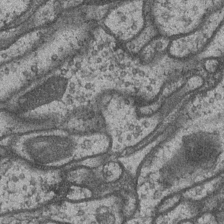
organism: Drosophila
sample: Optic medulla